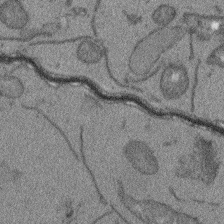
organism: Arabidopsis thaliana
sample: Root tip